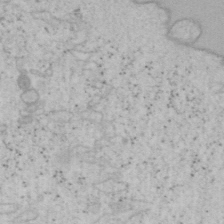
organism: Human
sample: HeLa cells